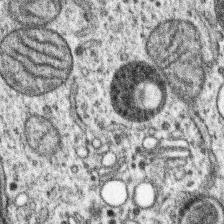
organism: Human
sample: HeLa cells